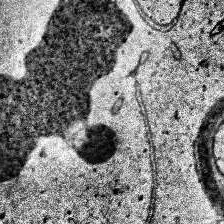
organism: Human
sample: Temporal Lobe